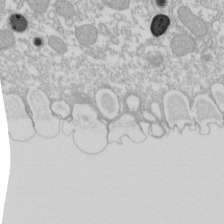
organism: Xenopus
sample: Cilia; centrioles in frog embryo cells